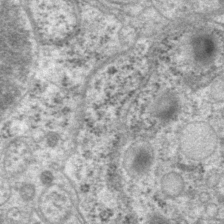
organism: P. pacificus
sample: Pharynx